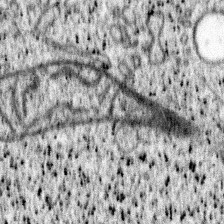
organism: Human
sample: HeLa cells